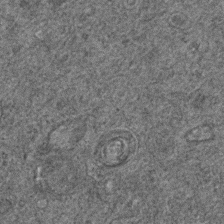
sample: Trachea